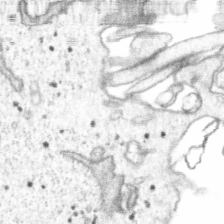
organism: Human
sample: HeLa cells